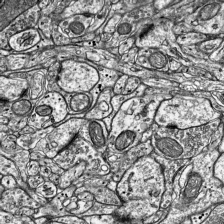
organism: Mouse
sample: Visual Cortex